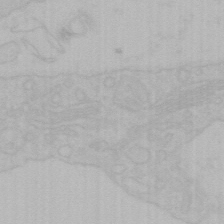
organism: Mouse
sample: Choroid plexus